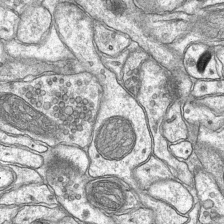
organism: Mouse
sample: CA1 Hippocampus